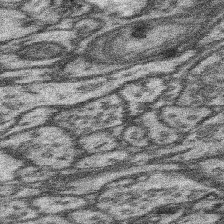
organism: Mouse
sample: Somatosensory cortex neuropil